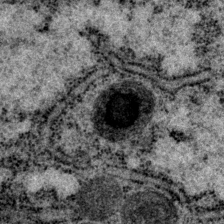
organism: P. pacificus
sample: Pharynx